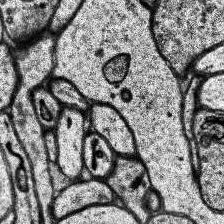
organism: Human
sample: Temporal Lobe